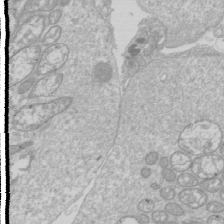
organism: Drosophila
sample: Cell division; meiosis; drosophila spermatocytes